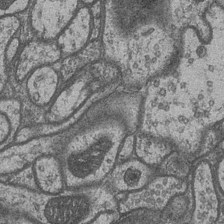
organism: Drosophila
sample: Optic medulla